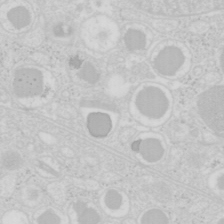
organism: Mouse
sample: Pancreas